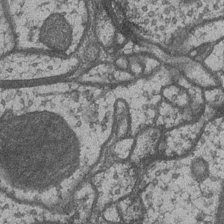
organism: Drosophila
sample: Optic medulla